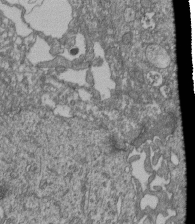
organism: Human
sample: Retinal organoid Rod and Cone cells